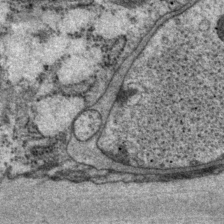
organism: P. pacificus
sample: Pharynx